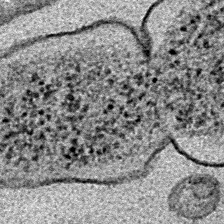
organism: E. coli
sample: E. Coli Bacteria